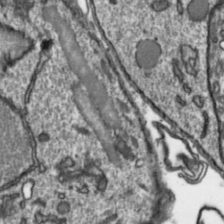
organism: Toxoplasma gondii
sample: Parasites in a vacuole inside a host cell